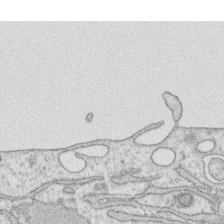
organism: Human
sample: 1205lu cells